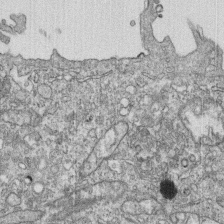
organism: Human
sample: HeLa cell HIV synapse